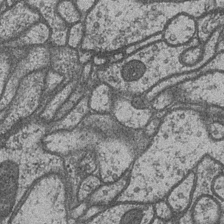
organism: Drosophila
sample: Optic medulla